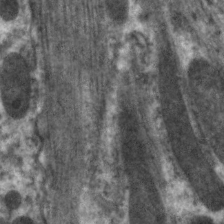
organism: C. elegans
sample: Pharynx